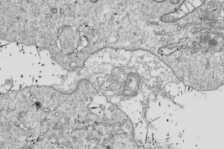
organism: Drosophila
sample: Cell division; meiosis; drosophila spermatocytes